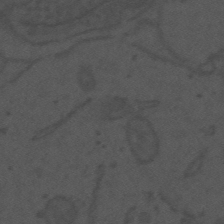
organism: Mouse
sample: Suprachiasmatic nucleus